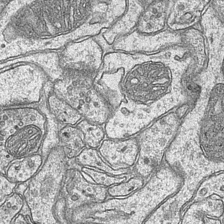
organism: Mouse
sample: CA1 Hippocampus